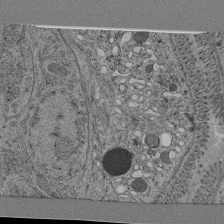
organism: C. elegans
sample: C. elegans pharynx